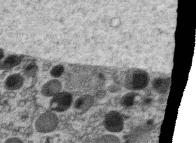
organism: C. elegans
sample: C. elegans oocyte; sperm cells